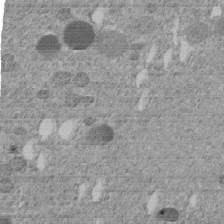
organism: C. elegans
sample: C. elegans embryo early stage